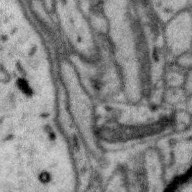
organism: Zebra finch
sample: Brain